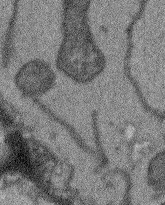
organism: Arabidopsis thaliana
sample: Root tip